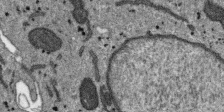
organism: Human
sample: Lung epithelial cells, uninfected (mock) control